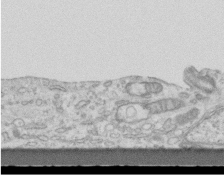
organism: Mouse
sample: Centriole in ependymal cells